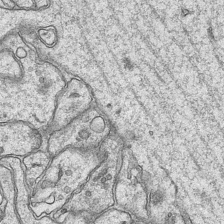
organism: Mouse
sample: CA1 Hippocampus